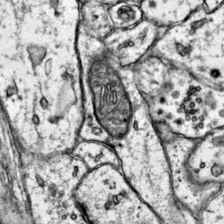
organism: Mouse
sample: Primary visual cortex